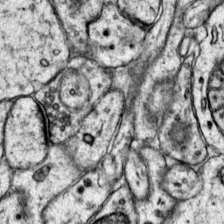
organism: Mouse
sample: Primary visual cortex